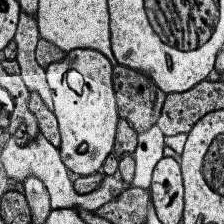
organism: Human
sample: Temporal Lobe